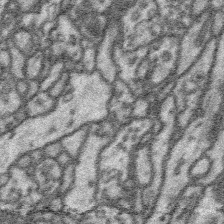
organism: Platynereis dumerilii